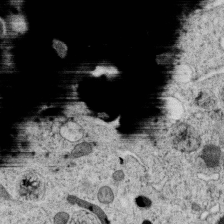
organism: C. elegans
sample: C. elegans oocyte; sperm cells